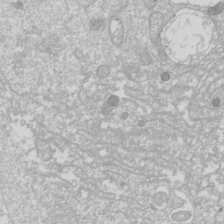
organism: Drosophila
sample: Cell division; meiosis; drosophila spermatocytes